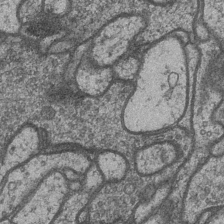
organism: Drosophila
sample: Optic medulla